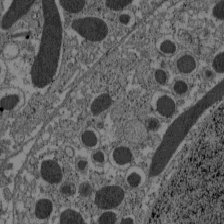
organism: C57BL Mouse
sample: Pancreatic islet